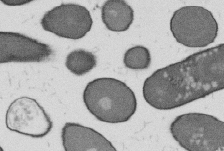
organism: B. subtilis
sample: Bacterial spore